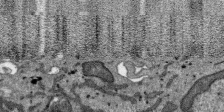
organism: Human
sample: Lung epithelial cells, uninfected (mock) control